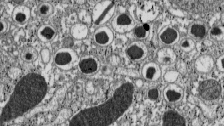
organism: C57BL Mouse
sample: Pancreatic islet